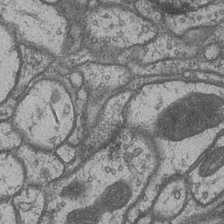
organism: Drosophila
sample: Optic medulla